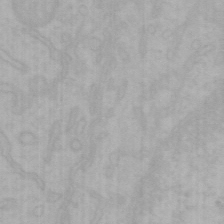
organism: Mouse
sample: Choroid plexus